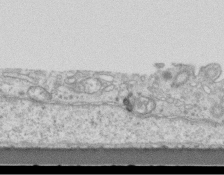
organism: Mouse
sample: Centriole in ependymal cells